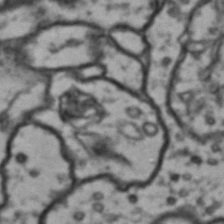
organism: Drosophila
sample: Brain